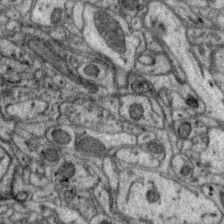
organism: Zebra finch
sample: Brain